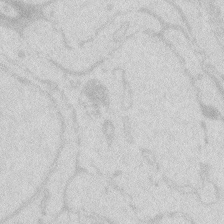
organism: Zebrafish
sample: Macrophage